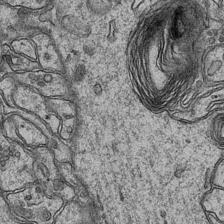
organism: Mouse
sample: CA1 Hippocampus